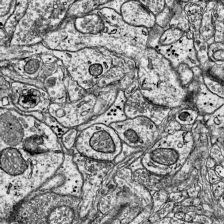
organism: Mouse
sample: Visual Cortex